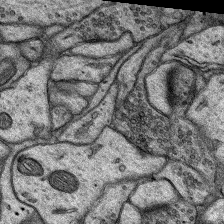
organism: Rat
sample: Hippocampus